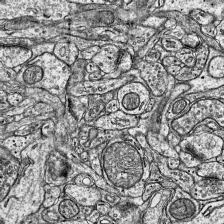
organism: Mouse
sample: Visual Cortex